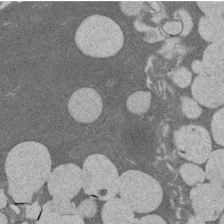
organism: Rat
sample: Salivary granule